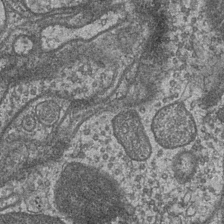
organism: Drosophila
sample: Optic medulla